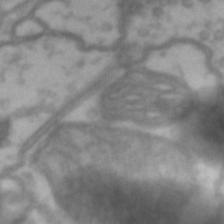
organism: Drosophila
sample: Brain